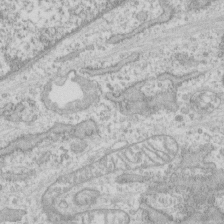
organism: Human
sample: CRL-1474